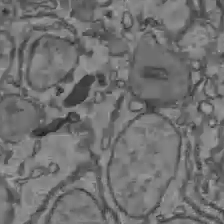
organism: C57BL Mouse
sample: Liver